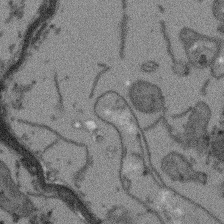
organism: Arabidopsis thaliana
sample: Root tip